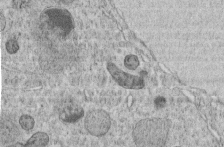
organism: C. elegans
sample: C. elegans embryo early stage